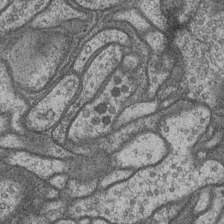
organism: Drosophila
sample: Optic medulla